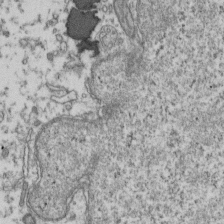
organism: Human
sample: Activated Jurkat CD4+ T cells